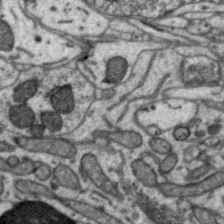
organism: Zebra finch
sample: Brain